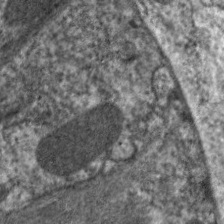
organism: C. elegans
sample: Pharynx